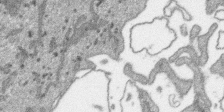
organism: Human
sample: Lung epithelial cells infected with SARS-CoV-2